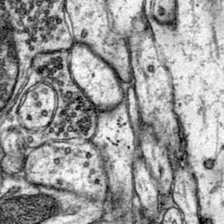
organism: Mouse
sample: Primary visual cortex